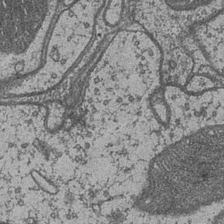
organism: Drosophila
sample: Optic medulla